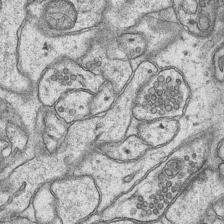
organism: Mouse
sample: CA1 Hippocampus